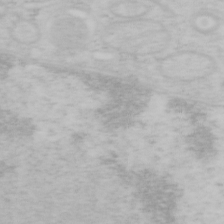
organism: Mouse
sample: OT-I killer T cells with ID8 ovarian cancer cells